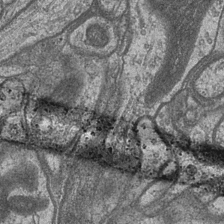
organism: Drosophila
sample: Optic medulla